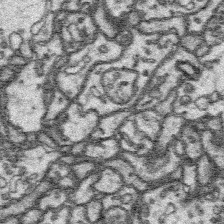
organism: Platynereis dumerilii